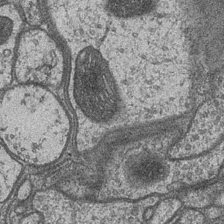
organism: Drosophila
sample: Optic medulla